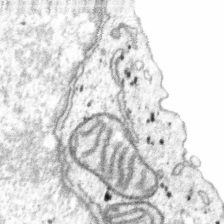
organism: Human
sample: HeLa cells